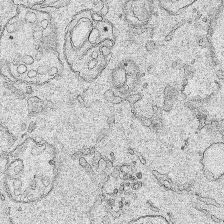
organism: Human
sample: Mitochondria in HCT116 cells